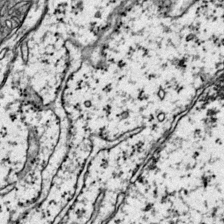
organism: Mouse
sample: Primary visual cortex